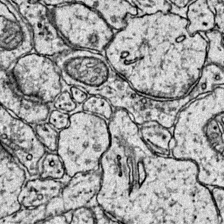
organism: Mouse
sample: Primary visual cortex